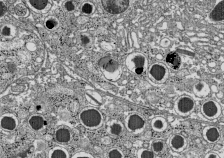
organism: C57BL Mouse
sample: Pancreatic islet